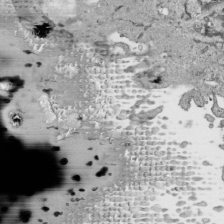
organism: Human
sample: Mitochondria in HCT116 cells